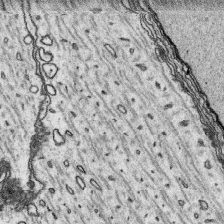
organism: Platynereis dumerilii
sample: Parapodia